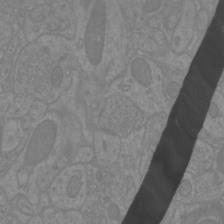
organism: Mouse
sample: Cortical neurons